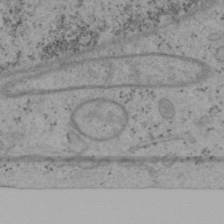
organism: Human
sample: HeLa cells